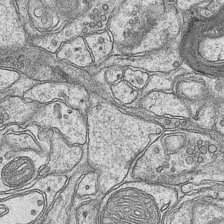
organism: Mouse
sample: CA1 Hippocampus